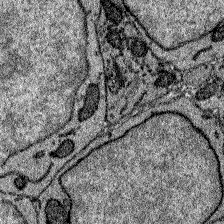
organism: Zebrafish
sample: Larval olfactory bulb